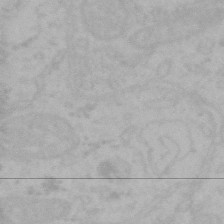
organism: Mouse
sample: Choroid plexus